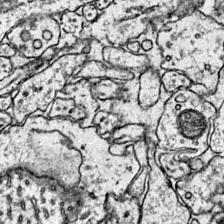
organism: Mouse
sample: Primary visual cortex